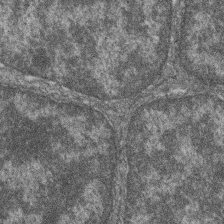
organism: Zebrafish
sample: Cilia; retinal pigment epithelium